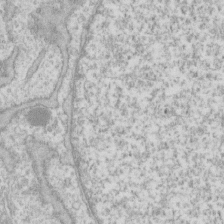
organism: Human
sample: Fibroblast cells